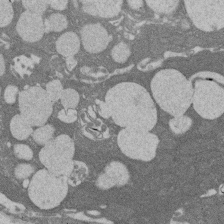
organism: Rat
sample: Salivary granule